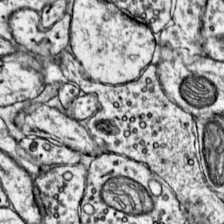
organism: Mouse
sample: Primary visual cortex